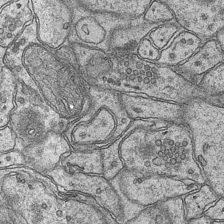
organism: Mouse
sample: CA1 Hippocampus